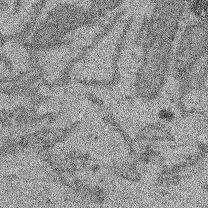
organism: Human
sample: HeLa cells